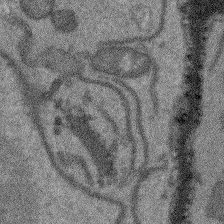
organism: Arabidopsis thaliana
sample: Root tip